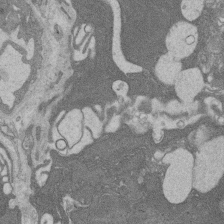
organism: Rat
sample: Salivary granule